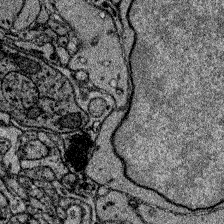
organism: Zebrafish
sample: Larval olfactory bulb